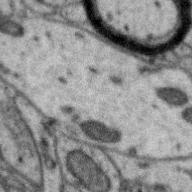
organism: Zebra finch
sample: Brain